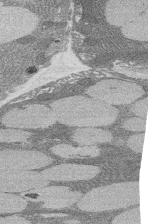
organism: Rat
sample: Salivary granule